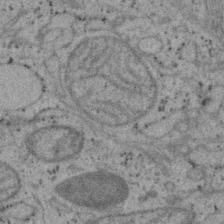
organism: Human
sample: HeLa cells